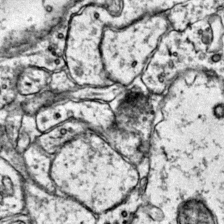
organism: Mouse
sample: Primary visual cortex